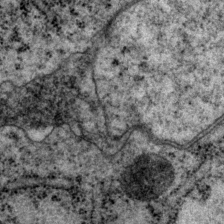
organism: P. pacificus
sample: Pharynx